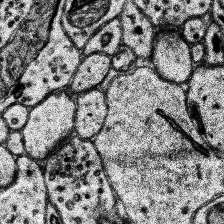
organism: Human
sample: Temporal Lobe